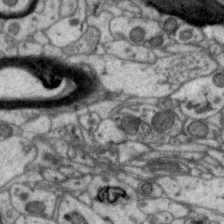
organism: Zebra finch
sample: Brain